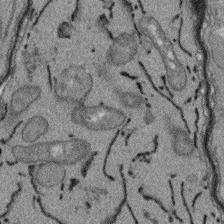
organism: Arabidopsis thaliana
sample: Root tip